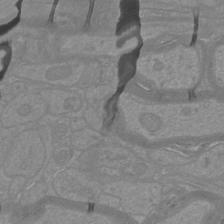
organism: Mouse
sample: Cortical neurons